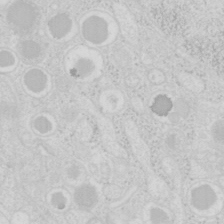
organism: Mouse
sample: Pancreas